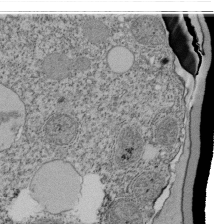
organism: Tetrahymena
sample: Cilia in tetrahymena